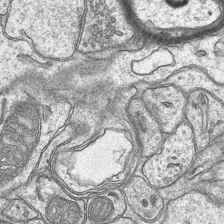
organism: Mouse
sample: CA1 Hippocampus